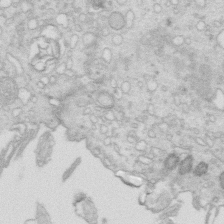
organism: Mouse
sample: Multiciliated cells